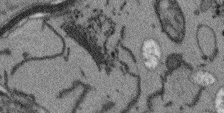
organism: Arabidopsis thaliana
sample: Root tip